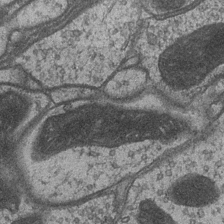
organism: Drosophila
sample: Optic medulla